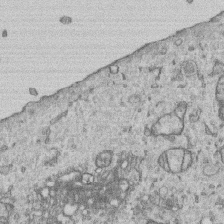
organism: Human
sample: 1205lu cells